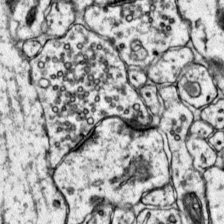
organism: Mouse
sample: Primary visual cortex